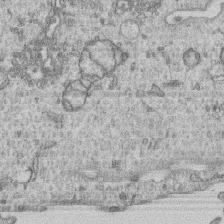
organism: Human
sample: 1205lu cells